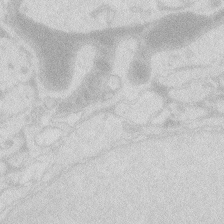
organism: Zebrafish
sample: Macrophage